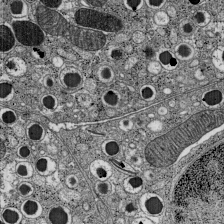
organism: C57BL Mouse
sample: Pancreatic islet